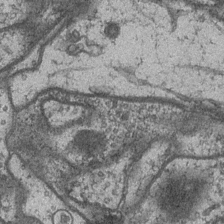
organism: Drosophila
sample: Optic medulla